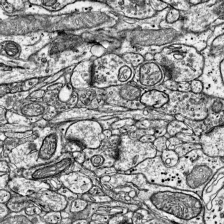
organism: Mouse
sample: Visual Cortex